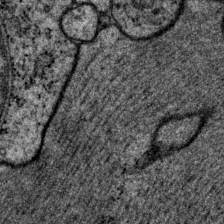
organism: P. pacificus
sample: Pharynx